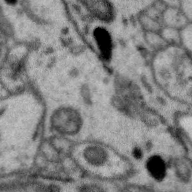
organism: Zebra finch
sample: Brain